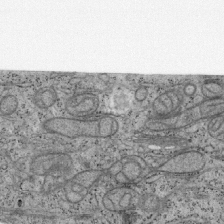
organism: Human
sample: HeLa cells